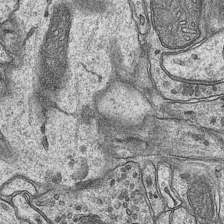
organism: Mouse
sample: CA1 Hippocampus